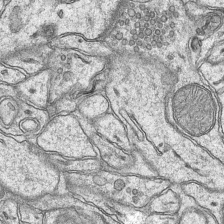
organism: Mouse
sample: CA1 Hippocampus